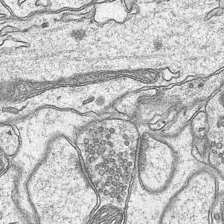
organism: Mouse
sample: CA1 Hippocampus